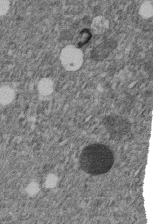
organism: C. elegans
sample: C. elegans embryo early stage